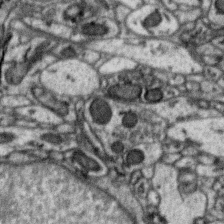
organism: Zebra finch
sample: Brain